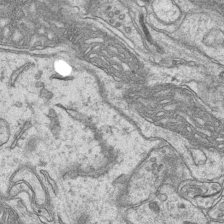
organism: Mouse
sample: CA1 Hippocampus